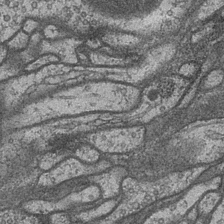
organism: Drosophila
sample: Optic medulla